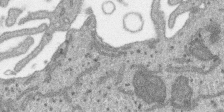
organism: Human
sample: Lung epithelial cells infected with SARS-CoV-2